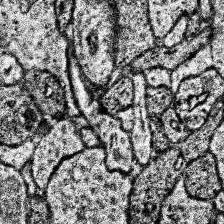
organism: Human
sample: Temporal Lobe